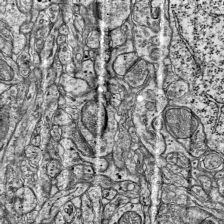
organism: Mouse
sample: Visual Cortex